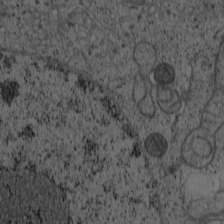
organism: African green monkey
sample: COS-7 cells